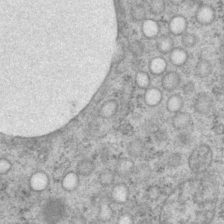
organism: P. pacificus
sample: Pharynx